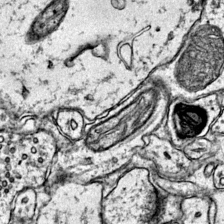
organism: Mouse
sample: Primary visual cortex